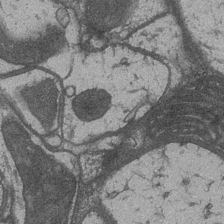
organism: Drosophila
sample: Optic medulla